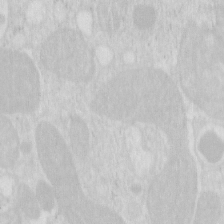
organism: Mouse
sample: Pancreas